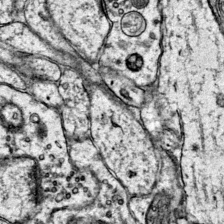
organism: Mouse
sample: Primary visual cortex